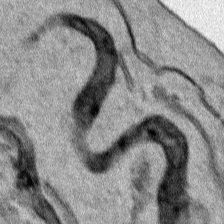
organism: Human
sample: Mitochondria in HCT116 cells